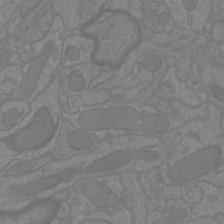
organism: Mouse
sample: Cortical neurons